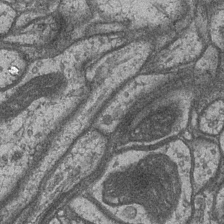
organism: Drosophila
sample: Optic medulla